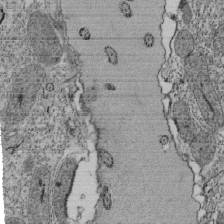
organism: Tetrahymena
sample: Cilia in tetrahymena